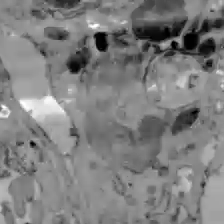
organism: C57BL Mouse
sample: Liver